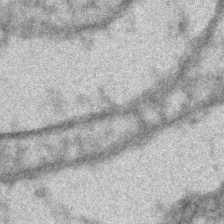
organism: Zebrafish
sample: Zebrafish embryo